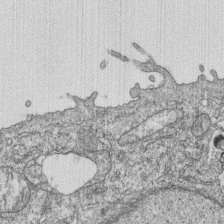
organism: Human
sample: HeLa cell HIV synapse